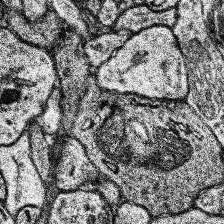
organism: Human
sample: Temporal Lobe